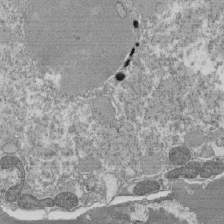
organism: Tetrahymena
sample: Cilia in tetrahymena